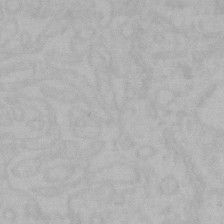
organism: Mouse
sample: Choroid plexus